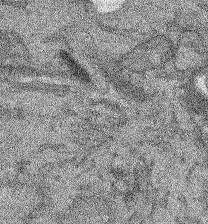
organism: Human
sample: HeLa cells